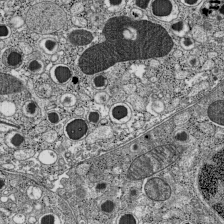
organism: C57BL Mouse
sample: Pancreatic islet